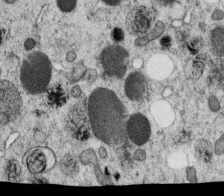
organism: C. elegans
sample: C. elegans oocyte; sperm cells